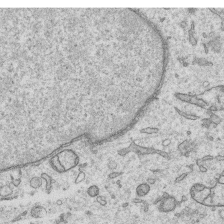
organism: Human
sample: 1205lu cells